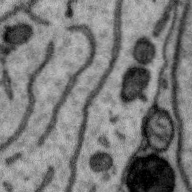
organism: Zebra finch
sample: Brain